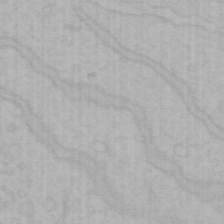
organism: Mouse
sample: Choroid plexus